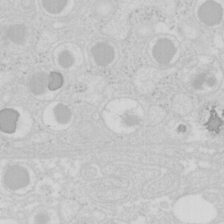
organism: Mouse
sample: Pancreas